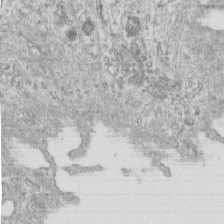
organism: Human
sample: Centriole in RPE cells